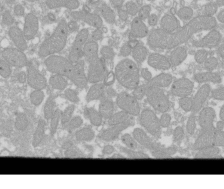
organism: Xenopus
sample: Cilia; centrioles in frog embryo cells